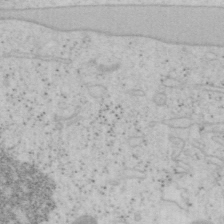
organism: Human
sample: HeLa cells